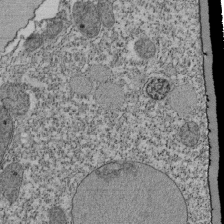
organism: Tetrahymena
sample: Cilia in tetrahymena